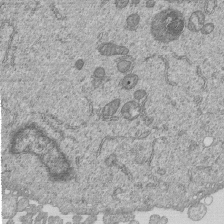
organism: Human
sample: MDA-MB-231 cells